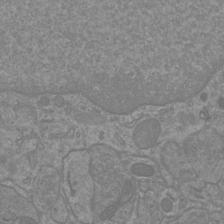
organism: Mouse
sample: Cortical neurons